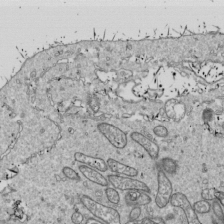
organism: Drosophila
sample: Cell division; meiosis; drosophila spermatocytes